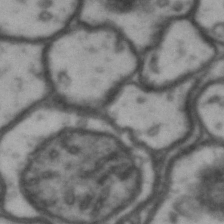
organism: Drosophila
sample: Brain